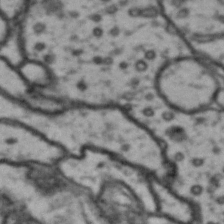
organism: Drosophila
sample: Brain